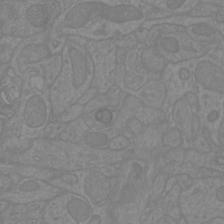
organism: Mouse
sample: Cortical neurons